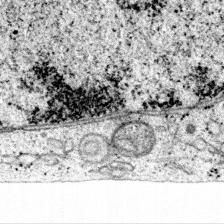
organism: Human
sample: HeLa cells